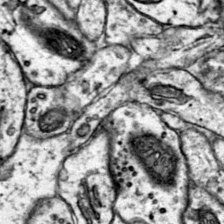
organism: Mouse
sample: Primary visual cortex